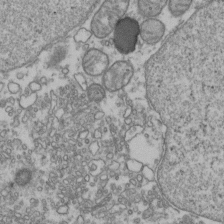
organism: Human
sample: Activated Jurkat CD4+ T cells